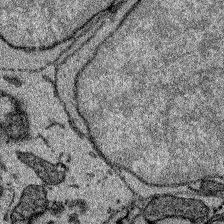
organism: Zebrafish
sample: Larval olfactory bulb